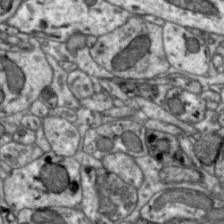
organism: Zebra finch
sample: Brain